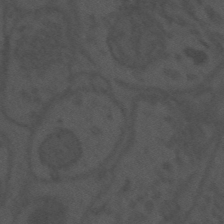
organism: Mouse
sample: Suprachiasmatic nucleus